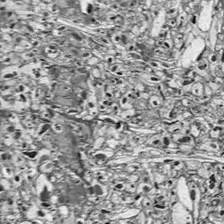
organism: Drosophila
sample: Optic lobe